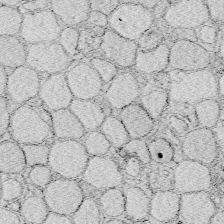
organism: Zebrafish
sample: Whole-Brain